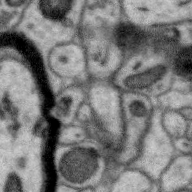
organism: Zebra finch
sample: Brain